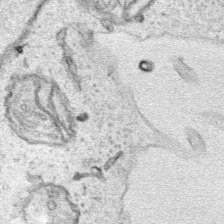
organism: Human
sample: Mitochondria in HCT116 cells